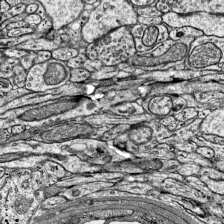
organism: Mouse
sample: Visual Cortex